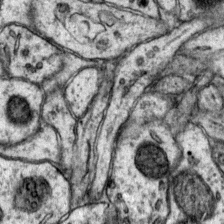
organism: Mouse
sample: Primary visual cortex